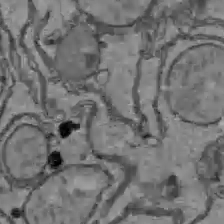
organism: C57BL Mouse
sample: Liver